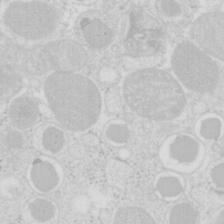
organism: Mouse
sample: Pancreas